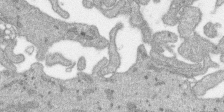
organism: Human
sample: Lung epithelial cells infected with SARS-CoV-2